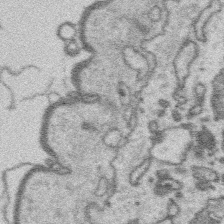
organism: Platynereis dumerilii